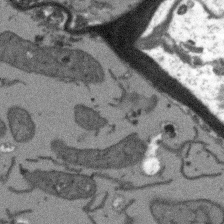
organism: Arabidopsis thaliana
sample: Root tip